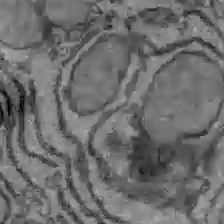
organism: C57BL Mouse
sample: Liver